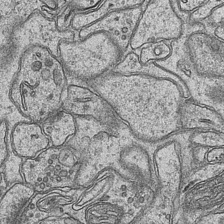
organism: Mouse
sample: CA1 Hippocampus